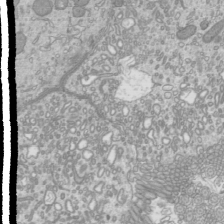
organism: Mouse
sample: Cilia; mouse epididymis